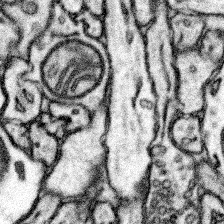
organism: Mouse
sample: Somatosensory cortex neuropil